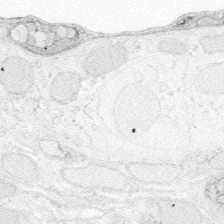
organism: Zebrafish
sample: Whole-Brain